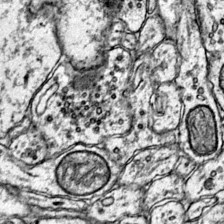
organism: Mouse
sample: Primary visual cortex